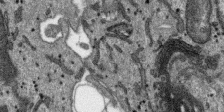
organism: Human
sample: Lung epithelial cells, uninfected (mock) control